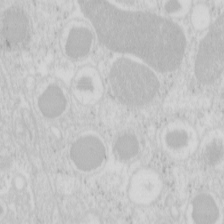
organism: Mouse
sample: Pancreas